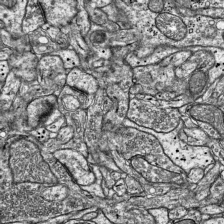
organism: Mouse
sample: Visual Cortex